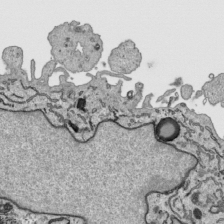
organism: Human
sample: Mitochondria in HCT116 cells